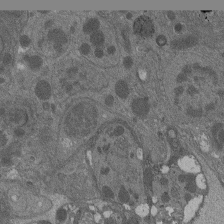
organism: Drosophila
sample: Antenna